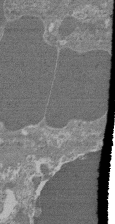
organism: Mouse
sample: Glomerulus